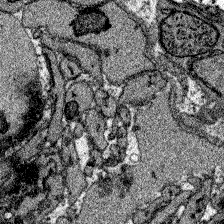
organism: Zebrafish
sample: Larval olfactory bulb